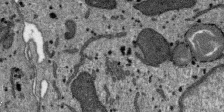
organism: Human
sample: Lung epithelial cells, uninfected (mock) control